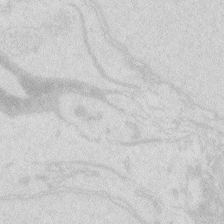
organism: Zebrafish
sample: Macrophage